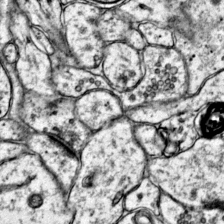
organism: Mouse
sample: Primary visual cortex